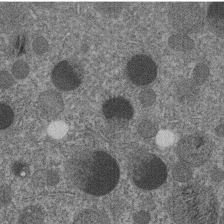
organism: C. elegans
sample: C. elegans embryo early stage